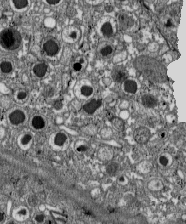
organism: C57BL Mouse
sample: Pancreatic islet